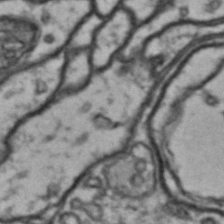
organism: Drosophila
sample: Brain